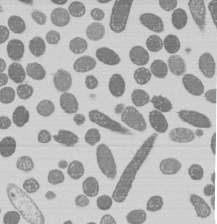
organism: E. coli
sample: Bacterial nucleoid